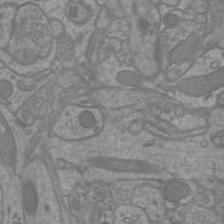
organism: Mouse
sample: Cortical neurons